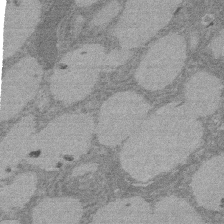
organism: Rat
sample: Salivary granule